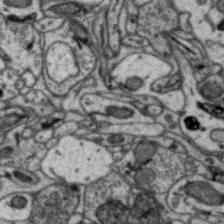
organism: Zebra finch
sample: Brain